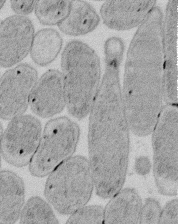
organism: E. coli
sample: Bacterial nucleoid